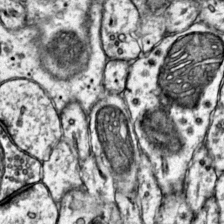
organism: Mouse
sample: Primary visual cortex